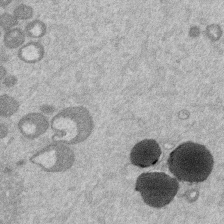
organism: Mouse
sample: Dividing mouse embryo 1 cell stage